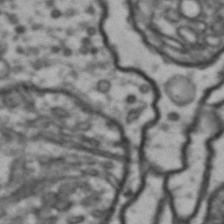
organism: Drosophila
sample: Brain